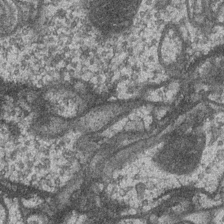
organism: Drosophila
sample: Optic medulla